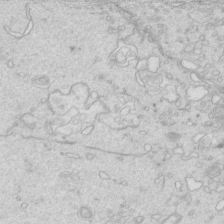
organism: Mouse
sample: Multiciliated cells